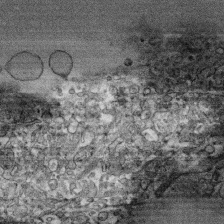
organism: Human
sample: CRL-1474